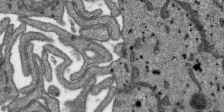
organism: Human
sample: Lung epithelial cells, uninfected (mock) control